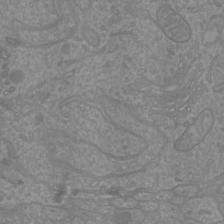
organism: Mouse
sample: Cortical neurons